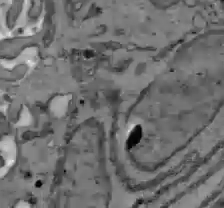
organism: C57BL Mouse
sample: Liver